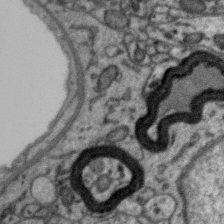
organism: Zebra finch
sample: Brain